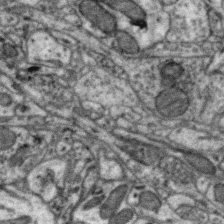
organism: Zebra finch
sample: Brain